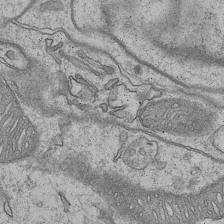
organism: Mouse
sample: CA1 Hippocampus